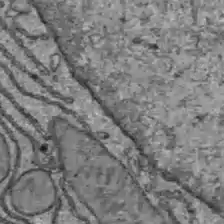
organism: C57BL Mouse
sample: Liver